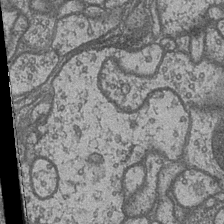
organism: Drosophila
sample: Optic medulla